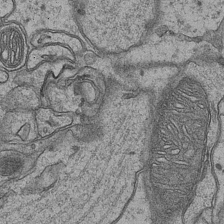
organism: Mouse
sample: CA1 Hippocampus